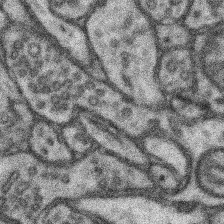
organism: Mouse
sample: Somatosensory cortex neuropil